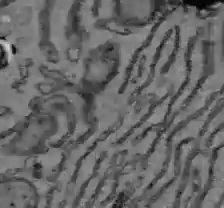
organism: C57BL Mouse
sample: Liver